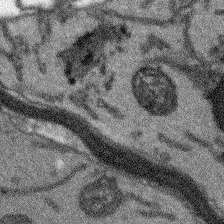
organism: Arabidopsis thaliana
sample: Root tip